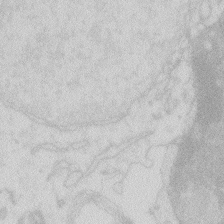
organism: Zebrafish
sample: Macrophage